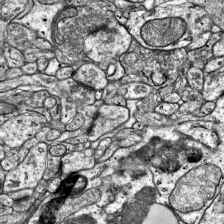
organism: Mouse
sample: Visual Cortex